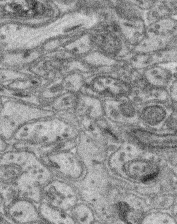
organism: Mouse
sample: Retina